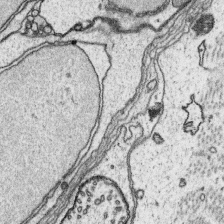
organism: Platynereis dumerilii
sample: Parapodia